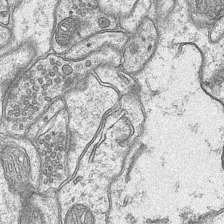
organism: Mouse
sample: CA1 Hippocampus